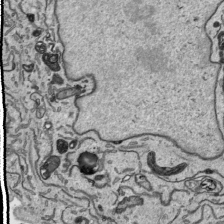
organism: Human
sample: Mitochondria in HCT116 cells